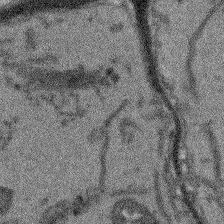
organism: Arabidopsis thaliana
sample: Root tip